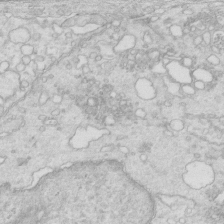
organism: Mouse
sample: Multiciliated cells